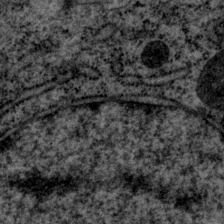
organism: P. pacificus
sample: Pharynx